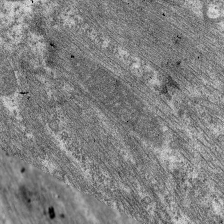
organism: C. elegans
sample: Pharynx